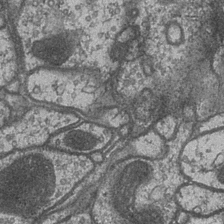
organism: Drosophila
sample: Optic medulla